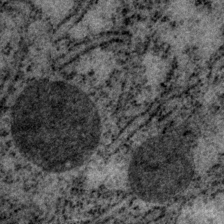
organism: P. pacificus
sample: Pharynx